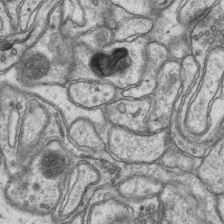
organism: Mouse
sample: CA1 Hippocampus